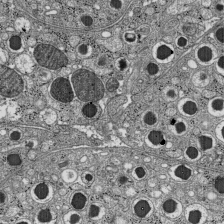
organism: C57BL Mouse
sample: Pancreatic islet